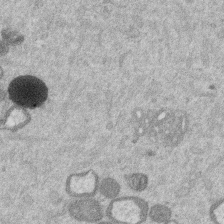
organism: Mouse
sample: Dividing mouse embryo 1 cell stage